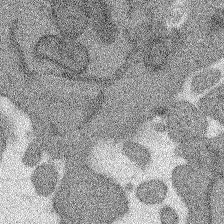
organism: Human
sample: HeLa cells